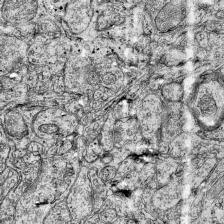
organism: Mouse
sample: Visual Cortex